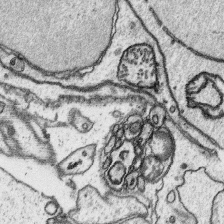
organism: Platynereis dumerilii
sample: Parapodia